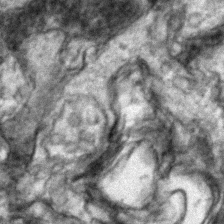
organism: Zebrafish